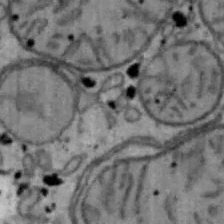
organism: Mouse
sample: Liver